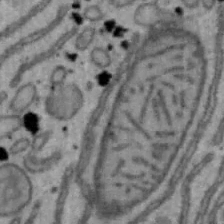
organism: Mouse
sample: Liver